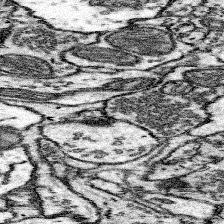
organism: Mouse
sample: Somatosensory cortex neuropil